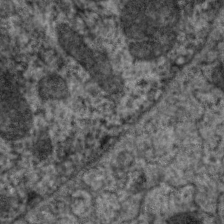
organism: C. elegans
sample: Pharynx